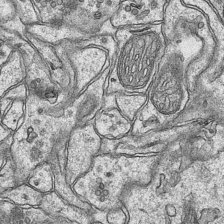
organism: Mouse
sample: CA1 Hippocampus